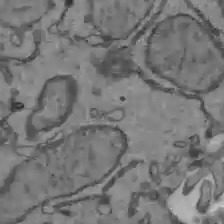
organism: C57BL Mouse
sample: Liver